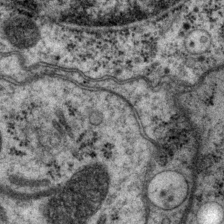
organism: P. pacificus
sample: Pharynx